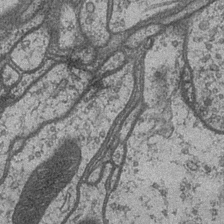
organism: Drosophila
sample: Optic medulla